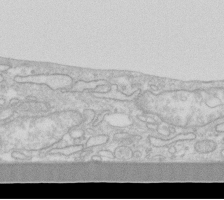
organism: Human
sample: Fibroblast cells